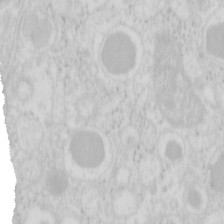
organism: Mouse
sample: Pancreas